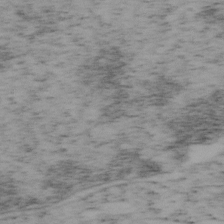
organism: Mouse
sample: OT-I killer T cells with ID8 ovarian cancer cells